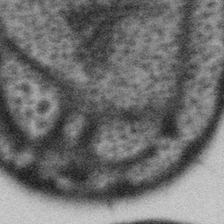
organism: Gemmata obscuriglobus